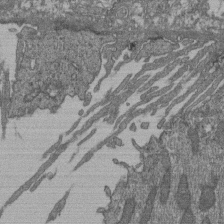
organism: Human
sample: Retinal organoid Rod and Cone cells